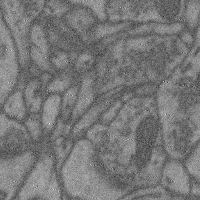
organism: Mouse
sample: Cerebral cortex